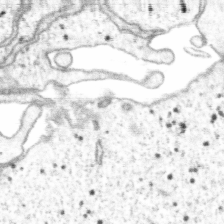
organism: Human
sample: HeLa cells